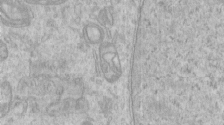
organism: Human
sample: Centriole in RPE cells